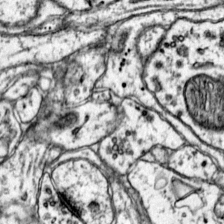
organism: Mouse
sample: Primary visual cortex